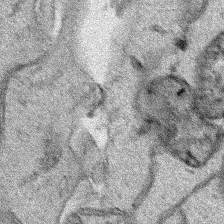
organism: Human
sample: Mitochondria in HCT116 cells